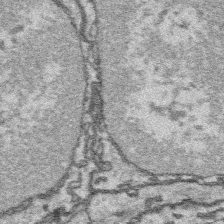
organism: Platynereis dumerilii